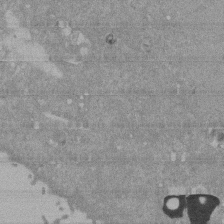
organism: Mouse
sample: ED-1 cell nuclei; centrioles